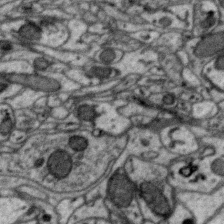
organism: Zebra finch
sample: Brain